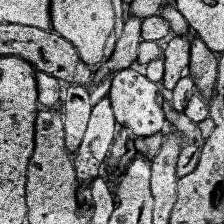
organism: Human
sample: Temporal Lobe